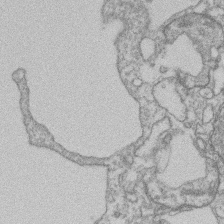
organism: Mouse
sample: T cell stromal cell synapse